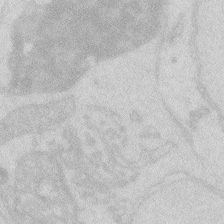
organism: Zebrafish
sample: Macrophage